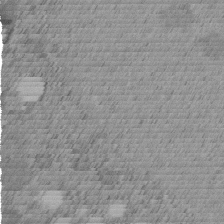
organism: C. elegans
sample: C. elegans embryo early stage